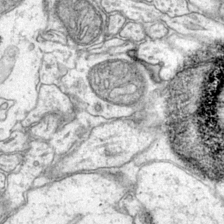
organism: Mouse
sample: Primary visual cortex